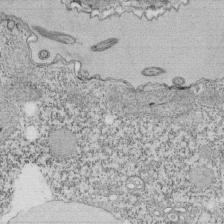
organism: Tetrahymena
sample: Cilia in tetrahymena